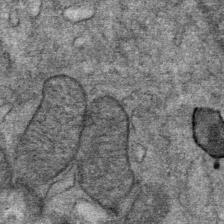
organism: Mouse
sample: Mouse Salivary gland